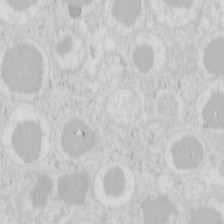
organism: Mouse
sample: Pancreas